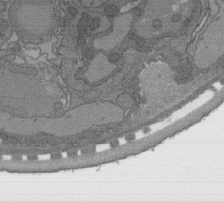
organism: C. elegans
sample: AFD neurons C. elegans